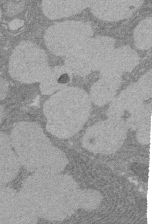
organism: Rat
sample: Salivary granule